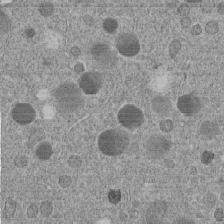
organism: C. elegans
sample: C. elegans embryo early stage